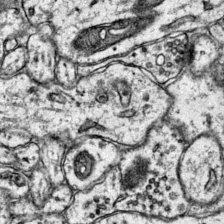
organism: Mouse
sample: Primary visual cortex